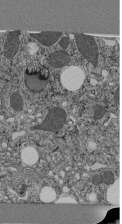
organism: C. elegans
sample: C. elegans pharynx